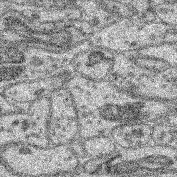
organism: Mouse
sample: Retina